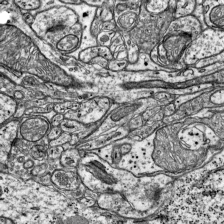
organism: Mouse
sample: Visual Cortex